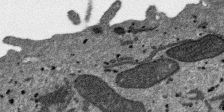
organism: Human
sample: Lung epithelial cells, uninfected (mock) control